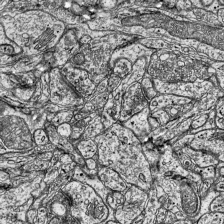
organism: Mouse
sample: Visual Cortex